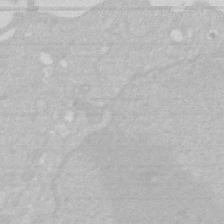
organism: Human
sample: HIV infected U937 cells